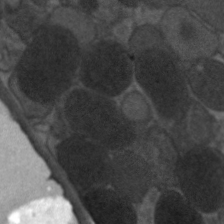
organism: C. elegans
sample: Pharynx